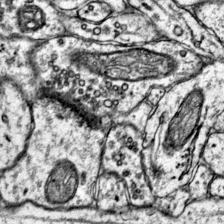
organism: Mouse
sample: Primary visual cortex